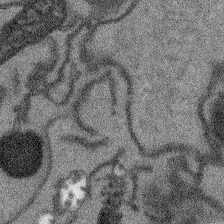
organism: Arabidopsis thaliana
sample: Root tip